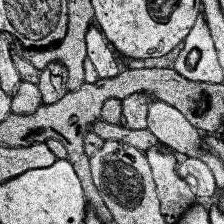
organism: Human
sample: Temporal Lobe